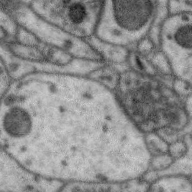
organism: Zebra finch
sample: Brain